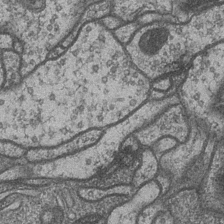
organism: Drosophila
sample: Optic medulla